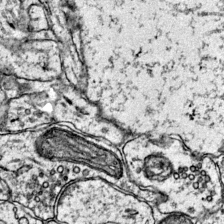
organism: Mouse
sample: Primary visual cortex